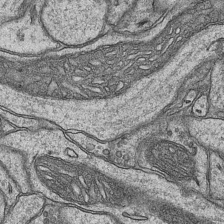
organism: Mouse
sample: CA1 Hippocampus